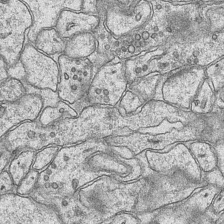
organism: Mouse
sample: CA1 Hippocampus